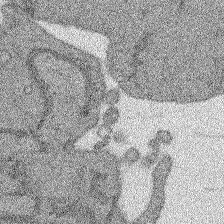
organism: Human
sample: HeLa cells